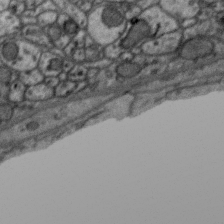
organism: Zebra finch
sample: Brain